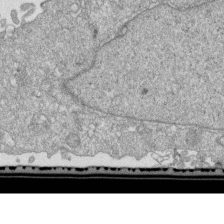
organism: Human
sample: HeLa cell HIV synapse